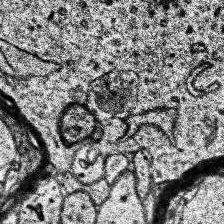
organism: Human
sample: Temporal Lobe